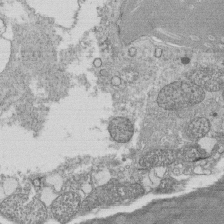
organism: Tetrahymena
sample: Cilia in tetrahymena